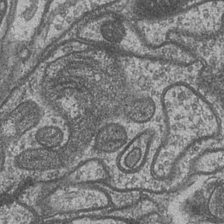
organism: Drosophila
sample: Optic medulla